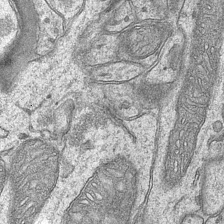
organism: Mouse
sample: CA1 Hippocampus